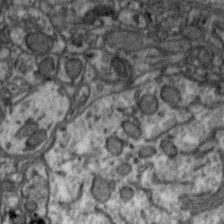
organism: Zebra finch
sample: Brain